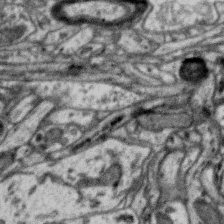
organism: Zebra finch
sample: Brain